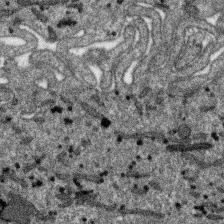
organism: Human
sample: Lung epithelial cells infected with SARS-CoV-2